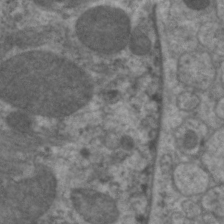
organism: C. elegans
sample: Pharynx